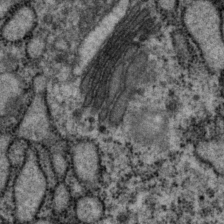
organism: P. pacificus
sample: Pharynx